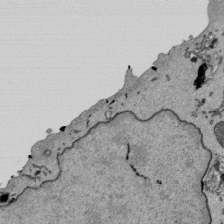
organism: Mouse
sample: ED-1 cell nuclei; centrioles